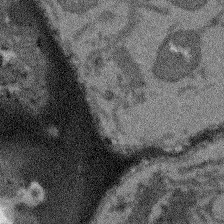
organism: Arabidopsis thaliana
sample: Root tip